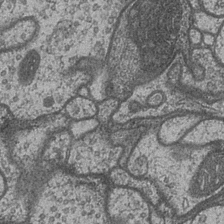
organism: Drosophila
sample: Optic medulla